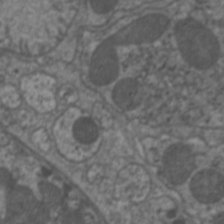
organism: C. elegans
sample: Pharynx